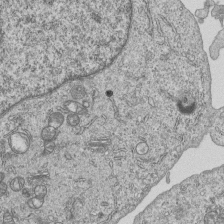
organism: Human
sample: MDA-MB-231 cells